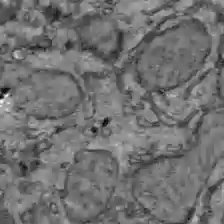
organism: C57BL Mouse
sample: Liver